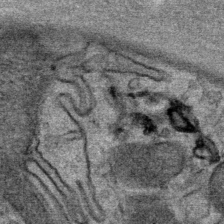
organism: Mouse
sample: Mouse Salivary gland